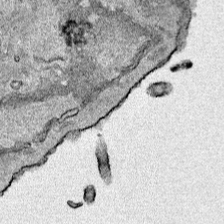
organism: Human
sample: Mitochondria in HCT116 cells